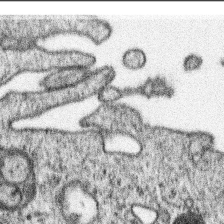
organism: Human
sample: HeLa cells